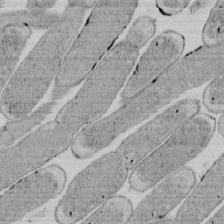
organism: E. coli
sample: Bacterial nucleoid